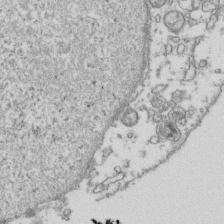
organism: Human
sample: Activated Jurkat CD4+ T cells